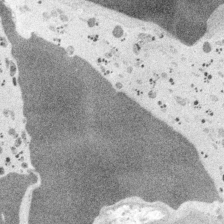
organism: Embia sp.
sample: Silk gland